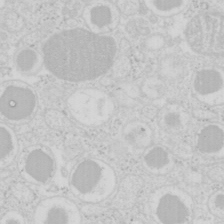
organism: Mouse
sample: Pancreas